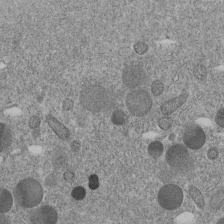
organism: C. elegans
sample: C. elegans embryo early stage